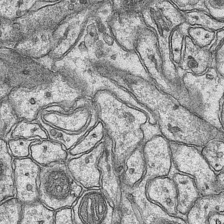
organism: Mouse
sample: CA1 Hippocampus